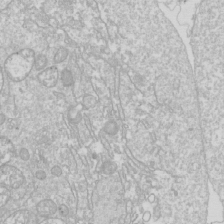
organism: Drosophila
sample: Cell division; meiosis; drosophila spermatocytes